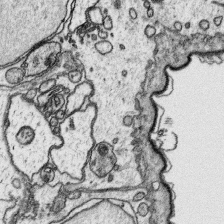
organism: Platynereis dumerilii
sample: Parapodia